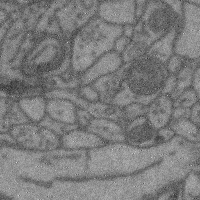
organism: Mouse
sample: Cerebral cortex